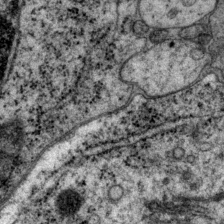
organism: P. pacificus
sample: Pharynx